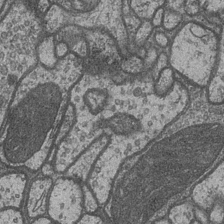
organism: Drosophila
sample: Optic medulla